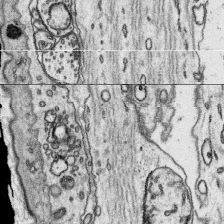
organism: Platynereis dumerilii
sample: Parapodia